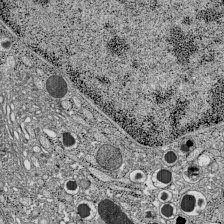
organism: C57BL Mouse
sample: Pancreatic islet